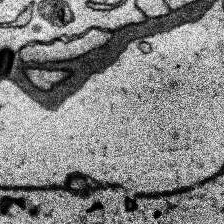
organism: Human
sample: Temporal Lobe